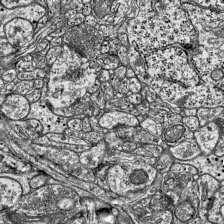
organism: Mouse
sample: Visual Cortex